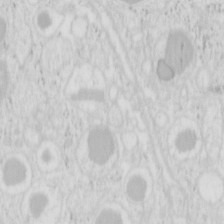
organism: Mouse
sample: Pancreas